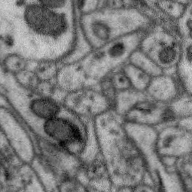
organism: Zebra finch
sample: Brain